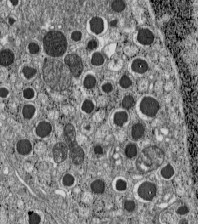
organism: C57BL Mouse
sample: Pancreatic islet